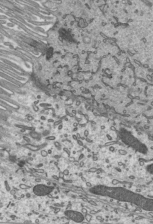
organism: Mouse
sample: Mouse epididymis efferent ductule cilia